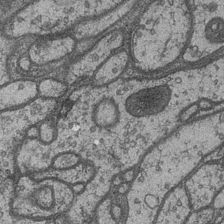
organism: Drosophila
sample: Optic medulla